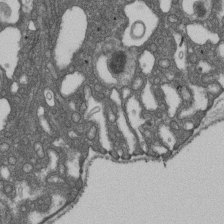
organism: Drosophila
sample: Nephrocyte